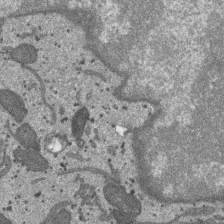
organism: Human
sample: Lung epithelial cells infected with SARS-CoV-2